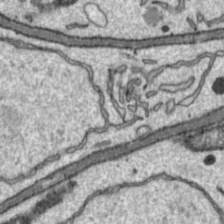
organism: Toxoplasma gondii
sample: Parasites in a vacuole inside a host cell